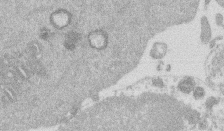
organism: Mouse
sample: Dividing mouse embryo 1 cell stage